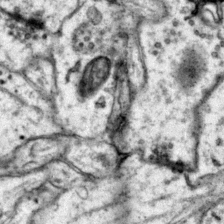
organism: Mouse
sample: Primary visual cortex